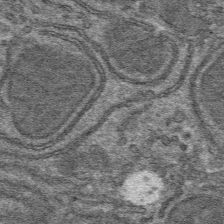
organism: Mouse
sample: Mouse hepatocytes